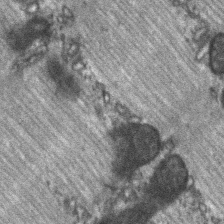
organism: C57BL Mouse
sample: Soleus